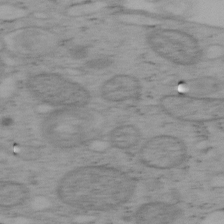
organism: Mouse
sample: OT-I killer T cells with ID8 ovarian cancer cells